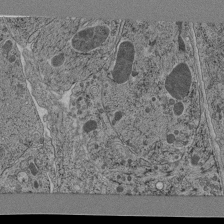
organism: C. elegans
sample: C. elegans pharynx